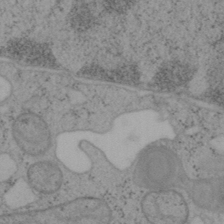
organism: Mouse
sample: OT-I killer T cells with ID8 ovarian cancer cells